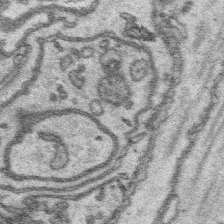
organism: Platynereis dumerilii